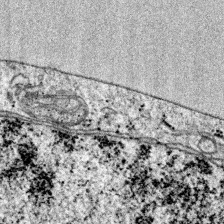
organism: Human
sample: HeLa cells